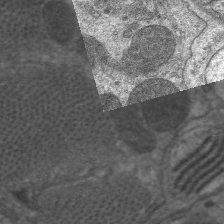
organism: C. elegans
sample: Pharynx